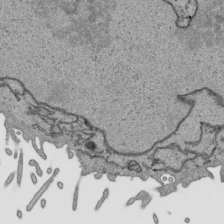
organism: Human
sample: Mitochondria in HCT116 cells